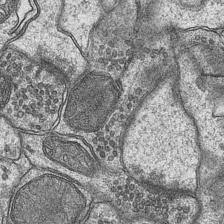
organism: Mouse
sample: CA1 Hippocampus